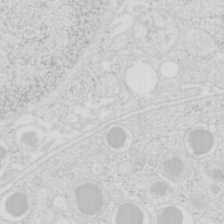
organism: Mouse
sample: Pancreas